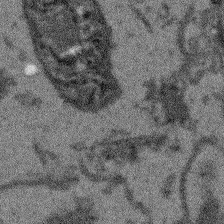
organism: Arabidopsis thaliana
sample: Root tip